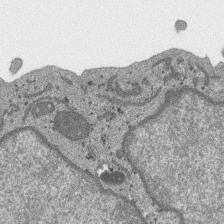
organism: Human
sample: Lung epithelial cells infected with SARS-CoV-2